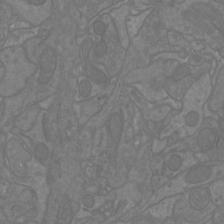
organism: Mouse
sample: Cortical neurons